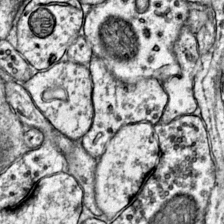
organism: Mouse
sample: Primary visual cortex